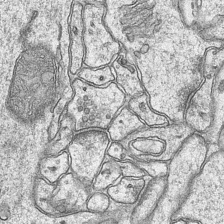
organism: Mouse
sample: CA1 Hippocampus